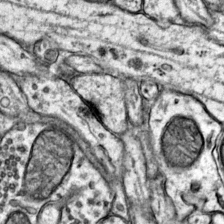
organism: Mouse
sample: Primary visual cortex